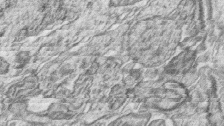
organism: Zebrafish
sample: synaptic ribbons in rod cells and cone cells